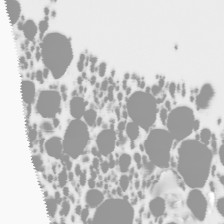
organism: Human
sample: THP-1 cells